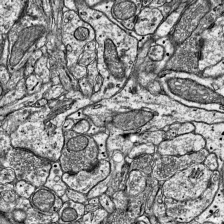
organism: Mouse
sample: Visual Cortex